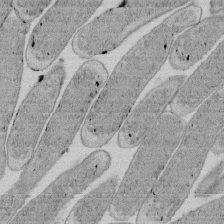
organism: E. coli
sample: Bacterial nucleoid